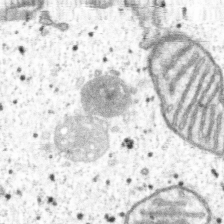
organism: Human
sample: HeLa cells